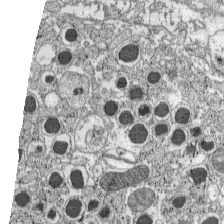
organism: C57BL Mouse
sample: Pancreatic islet